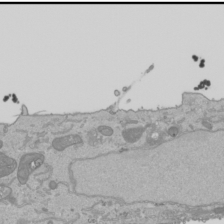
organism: Human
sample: Mitochondria in HCT116 cells